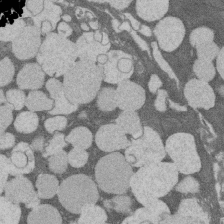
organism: Rat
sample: Salivary granule